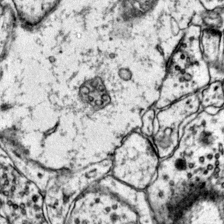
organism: Mouse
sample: Primary visual cortex